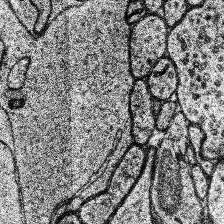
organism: Human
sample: Temporal Lobe